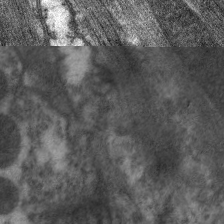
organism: C. elegans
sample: Pharynx